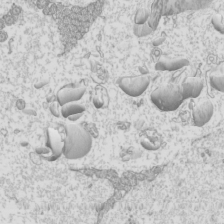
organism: Mouse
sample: Cilia; mouse epididymis